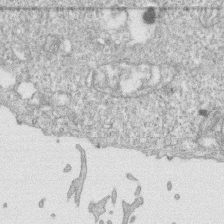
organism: Human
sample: HeLa cell HIV synapse